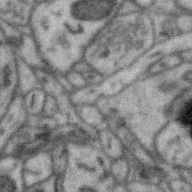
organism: Zebra finch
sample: Brain